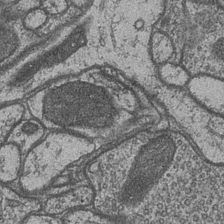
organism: Drosophila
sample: Optic medulla